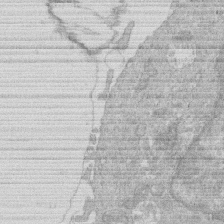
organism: Human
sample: Macrophage cells